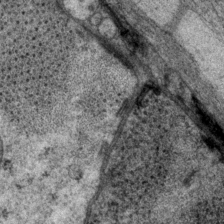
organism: P. pacificus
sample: Pharynx